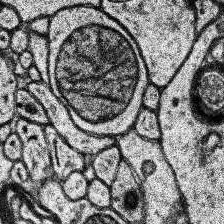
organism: Human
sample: Temporal Lobe